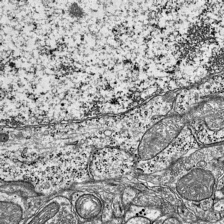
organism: Mouse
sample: Visual Cortex